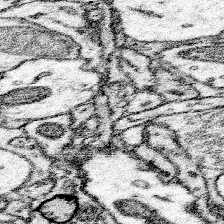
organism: Mouse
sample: Somatosensory cortex neuropil